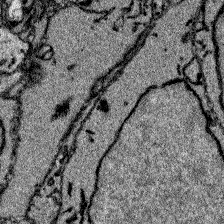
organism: Zebrafish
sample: Larval olfactory bulb